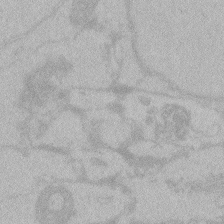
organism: Zebrafish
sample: Macrophage infected with Toxoplasma gondii